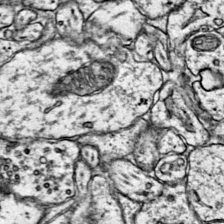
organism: Mouse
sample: Primary visual cortex